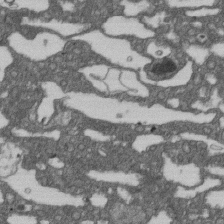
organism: Drosophila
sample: Nephrocyte